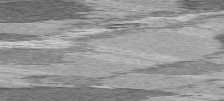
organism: C57BL Mouse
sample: Heart